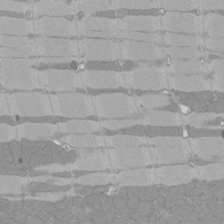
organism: Rat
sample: Left ventricle